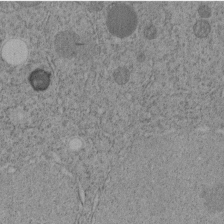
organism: C. elegans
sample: C. elegans embryo early stage